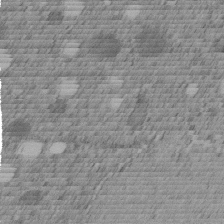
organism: C. elegans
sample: C. elegans embryo early stage